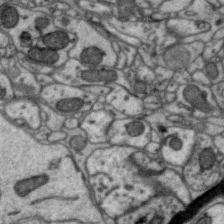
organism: Zebra finch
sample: Brain